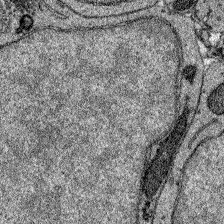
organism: Zebrafish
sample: Larval olfactory bulb